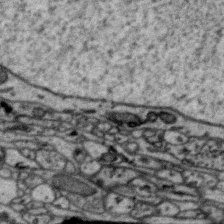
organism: Zebra finch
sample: Brain